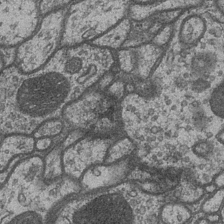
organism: Drosophila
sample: Optic medulla